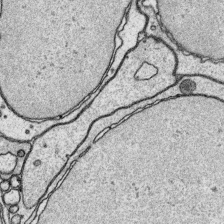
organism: Platynereis dumerilii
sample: Parapodia